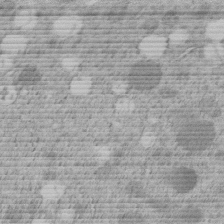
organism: C. elegans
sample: C. elegans embryo early stage